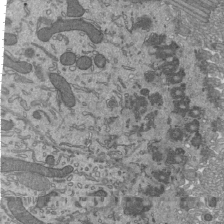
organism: Mouse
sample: Mouse epididymis efferent ductule cilia